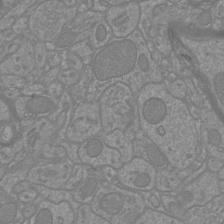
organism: Mouse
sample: Cortical neurons